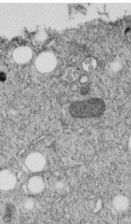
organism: C. elegans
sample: C. elegans embryo early stage